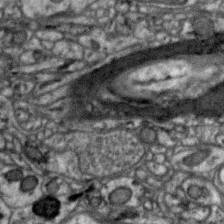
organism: Zebra finch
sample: Brain